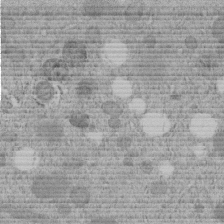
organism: C. elegans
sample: C. elegans embryo early stage